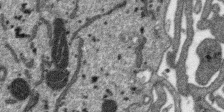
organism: Human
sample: Lung epithelial cells infected with SARS-CoV-2